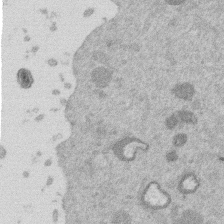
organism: Mouse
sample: Dividing mouse embryo 1 cell stage